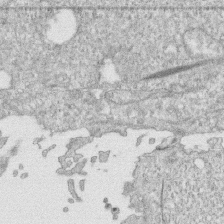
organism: Human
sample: HeLa cell HIV synapse